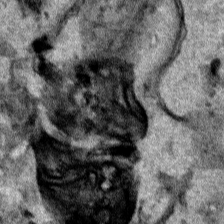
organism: Human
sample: Mitochondria in HCT116 cells